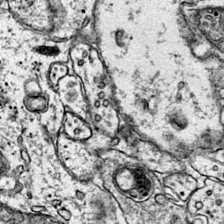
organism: Mouse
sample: Primary visual cortex